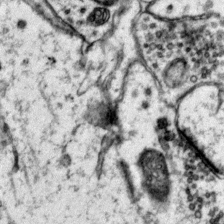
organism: Mouse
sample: Primary visual cortex